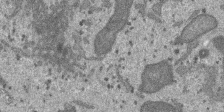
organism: Human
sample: Lung epithelial cells infected with SARS-CoV-2